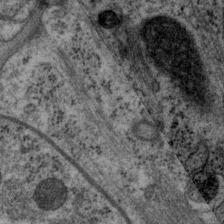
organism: P. pacificus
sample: Pharynx